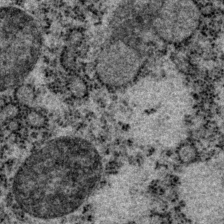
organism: P. pacificus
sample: Pharynx